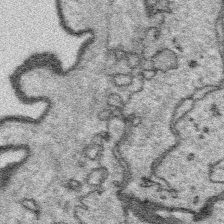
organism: Platynereis dumerilii